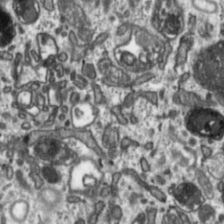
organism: Toxoplasma gondii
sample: Parasites in a vacuole inside a host cell